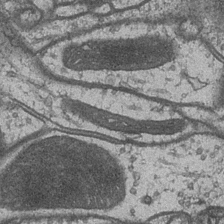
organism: Drosophila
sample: Optic medulla